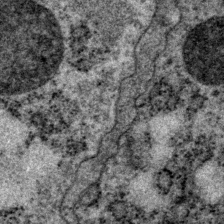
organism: P. pacificus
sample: Pharynx